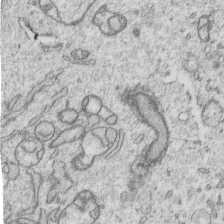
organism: Human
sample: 1205lu cells